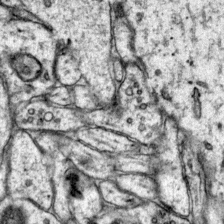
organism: Mouse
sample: Primary visual cortex